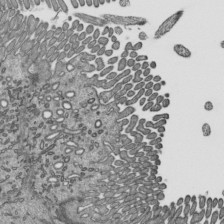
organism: Mouse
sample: Mouse epididymis efferent ductule cilia